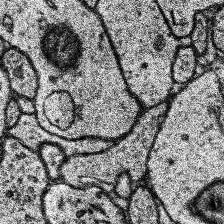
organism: Human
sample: Temporal Lobe